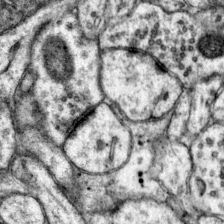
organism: Mouse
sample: Primary visual cortex